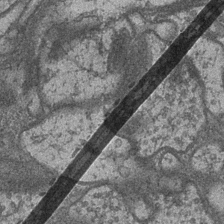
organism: Drosophila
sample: Optic medulla